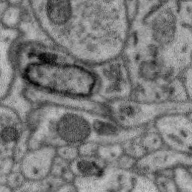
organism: Zebra finch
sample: Brain